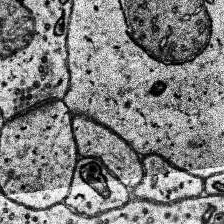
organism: Human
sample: Temporal Lobe